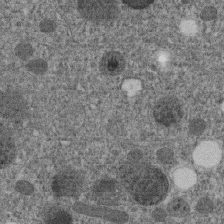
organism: C. elegans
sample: C. elegans embryo early stage